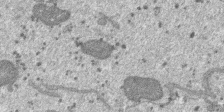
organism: Human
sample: Lung epithelial cells infected with SARS-CoV-2